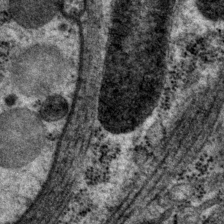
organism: P. pacificus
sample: Pharynx